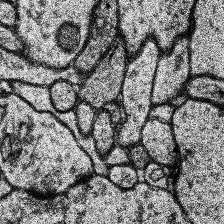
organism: Human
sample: Temporal Lobe